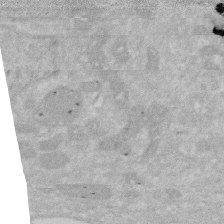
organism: Human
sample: HIV infected U937 cells